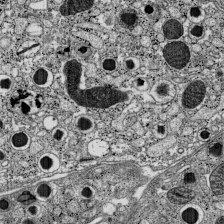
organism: C57BL Mouse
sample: Pancreatic islet